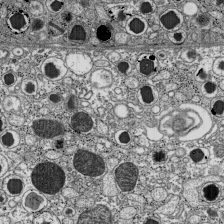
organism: C57BL Mouse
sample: Pancreatic islet